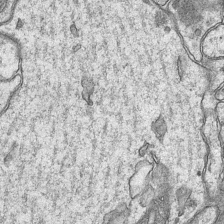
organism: Mouse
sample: CA1 Hippocampus